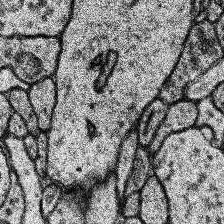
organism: Human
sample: Temporal Lobe